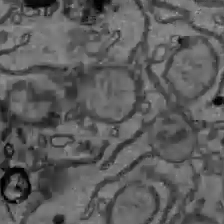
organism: C57BL Mouse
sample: Liver